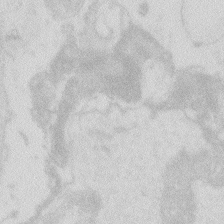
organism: Zebrafish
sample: Macrophage